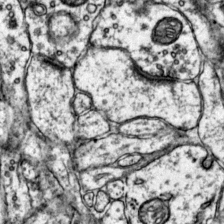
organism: Mouse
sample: Primary visual cortex